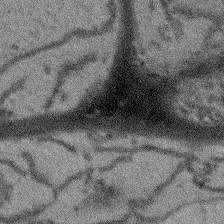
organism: Arabidopsis thaliana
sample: Root tip